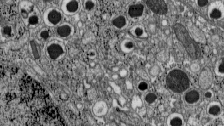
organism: C57BL Mouse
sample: Pancreatic islet